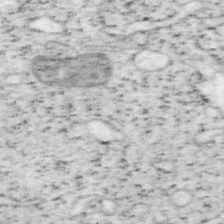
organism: Mouse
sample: OT-I killer T cells with ID8 ovarian cancer cells